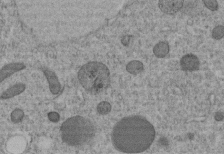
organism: C. elegans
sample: C. elegans embryo early stage